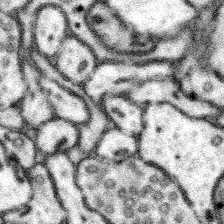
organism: Mouse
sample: Somatosensory cortex neuropil